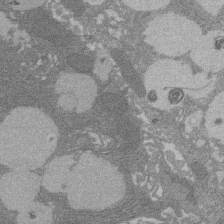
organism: Rat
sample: Salivary granule